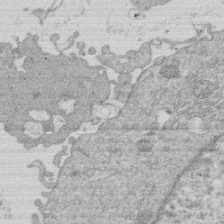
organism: Human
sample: Macrophage cells